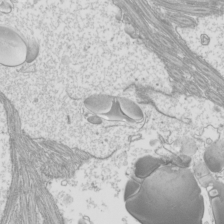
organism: Mouse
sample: Cilia; mouse epididymis